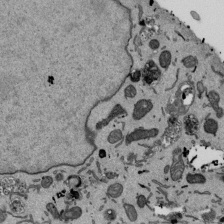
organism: Mouse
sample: ED-1 cell nuclei; centrioles